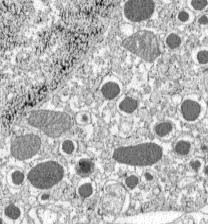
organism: C57BL Mouse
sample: Pancreatic islet